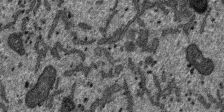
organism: Human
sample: Lung epithelial cells infected with SARS-CoV-2